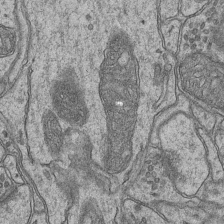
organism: Mouse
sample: CA1 Hippocampus